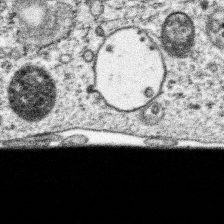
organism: Human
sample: HeLa cells